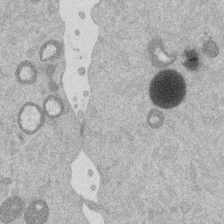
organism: Mouse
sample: Dividing mouse embryo 1 cell stage